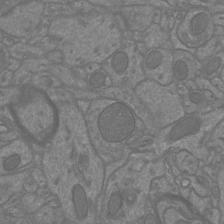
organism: Mouse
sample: Cortical neurons